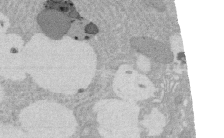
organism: Rat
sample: Salivary granule